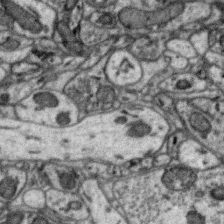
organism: Zebra finch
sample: Brain